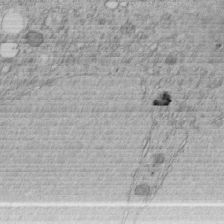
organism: C. elegans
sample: C. elegans embryo early stage